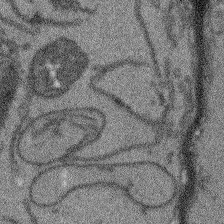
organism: Arabidopsis thaliana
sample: Root tip